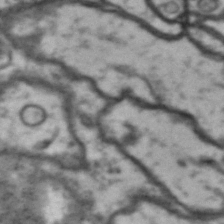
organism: Drosophila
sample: Brain